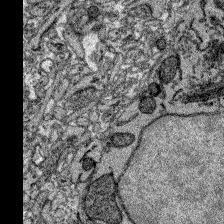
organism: Zebrafish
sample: Larval olfactory bulb